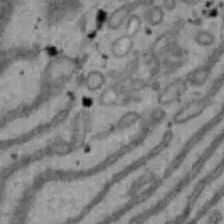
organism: Mouse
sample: Liver